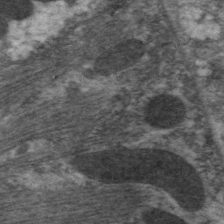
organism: C. elegans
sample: Pharynx